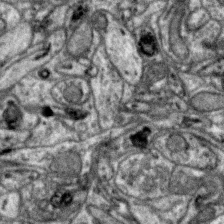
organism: Zebra finch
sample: Brain